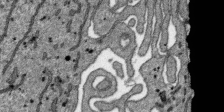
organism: Human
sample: Lung epithelial cells, uninfected (mock) control